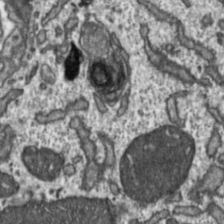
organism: Toxoplasma gondii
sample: Parasites in a vacuole inside a host cell